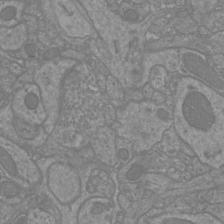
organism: Mouse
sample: Cortical neurons